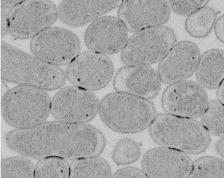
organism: E. coli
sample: Bacterial nucleoid